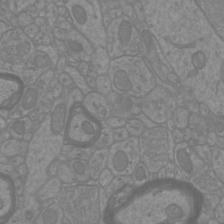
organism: Mouse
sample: Cortical neurons